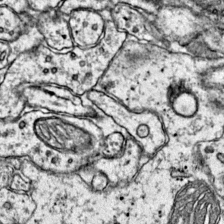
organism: Mouse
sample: Primary visual cortex